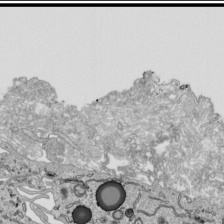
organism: Human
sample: Mitochondria in HCT116 cells